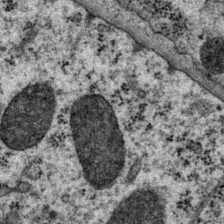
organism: P. pacificus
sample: Pharynx